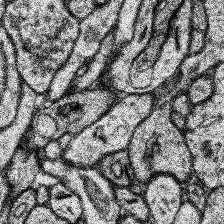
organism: Human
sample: Temporal Lobe